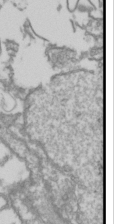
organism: Drosophila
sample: Cell division; meiosis; drosophila spermatocytes